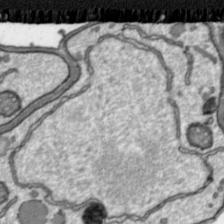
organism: Toxoplasma gondii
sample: Parasites in a vacuole inside a host cell